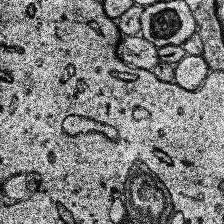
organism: Human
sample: Temporal Lobe